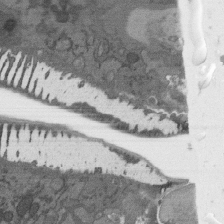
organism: C. elegans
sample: AFD neurons C. elegans